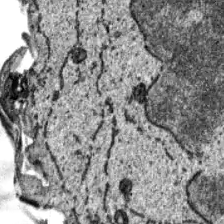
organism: Human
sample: HeLa cells